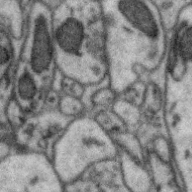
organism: Zebra finch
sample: Brain